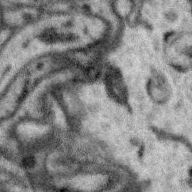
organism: Zebra finch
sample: Brain